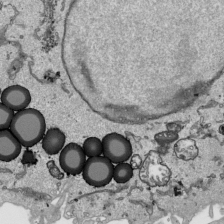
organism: Human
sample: Mitochondria in HCT116 cells